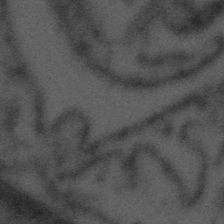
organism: Tuwongella immobilis